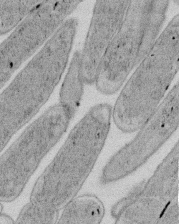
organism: E. coli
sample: Bacterial nucleoid